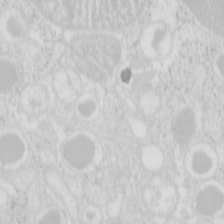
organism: Mouse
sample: Pancreas